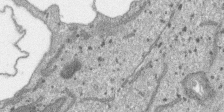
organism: Human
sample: Lung epithelial cells infected with SARS-CoV-2